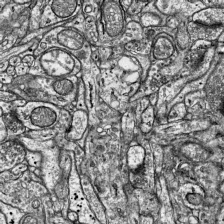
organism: Mouse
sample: Visual Cortex